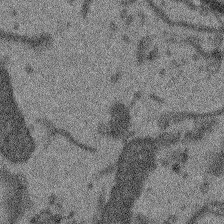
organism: Arabidopsis thaliana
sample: Root tip